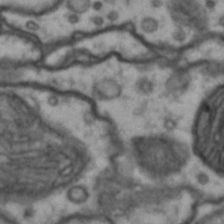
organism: Drosophila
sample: Brain